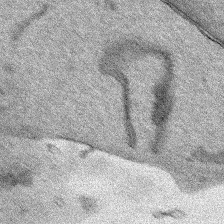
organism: Human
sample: Mitochondria in HCT116 cells